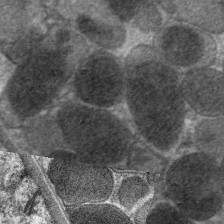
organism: C. elegans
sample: Pharynx